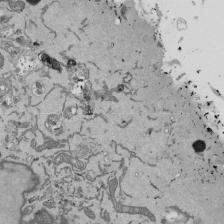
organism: Mouse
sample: ED-1 cell nuclei; centrioles